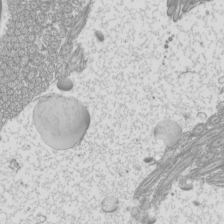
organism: Mouse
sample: Cilia; mouse epididymis